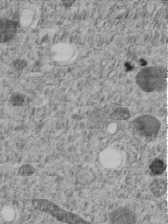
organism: C. elegans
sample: C. elegans embryo early stage